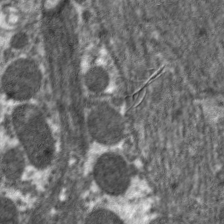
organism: C. elegans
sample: Pharynx